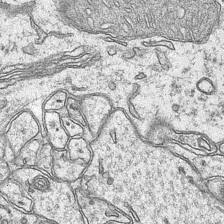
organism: Mouse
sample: CA1 Hippocampus